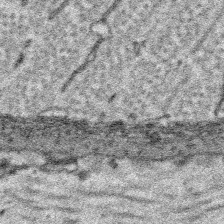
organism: Platynereis dumerilii